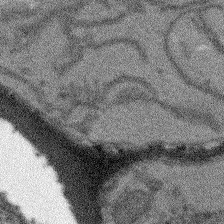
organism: Arabidopsis thaliana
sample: Root tip